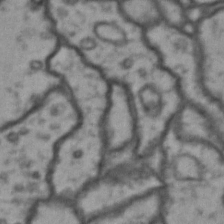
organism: Drosophila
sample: Brain